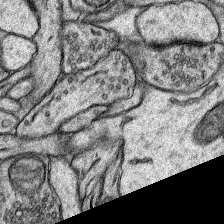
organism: Rat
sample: Hippocampus